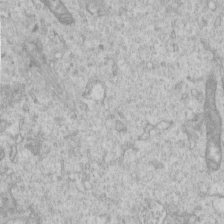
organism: Human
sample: Centriole in RPE cells